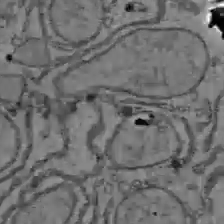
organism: C57BL Mouse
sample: Liver